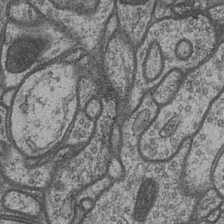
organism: Drosophila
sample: Optic medulla